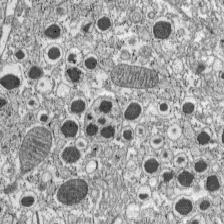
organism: C57BL Mouse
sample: Pancreatic islet